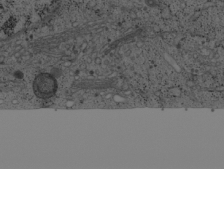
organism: African green monkey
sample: COS-7 cells